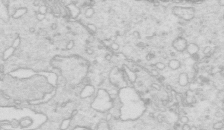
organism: Mouse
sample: Multiciliated cells